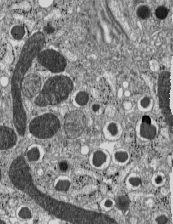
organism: C57BL Mouse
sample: Pancreatic islet